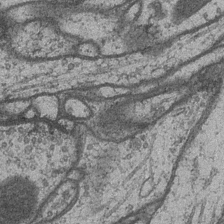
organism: Drosophila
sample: Optic medulla